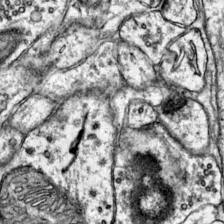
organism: Mouse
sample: Primary visual cortex